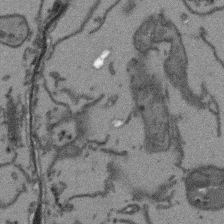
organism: Arabidopsis thaliana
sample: Root tip